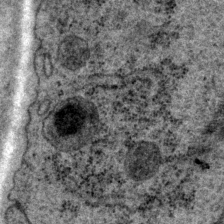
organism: P. pacificus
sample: Pharynx